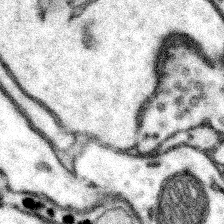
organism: Mouse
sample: Somatosensory cortex neuropil